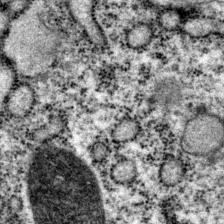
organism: P. pacificus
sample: Pharynx